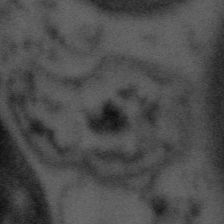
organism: Tuwongella immobilis